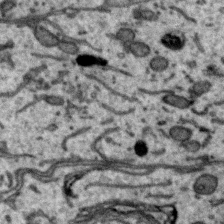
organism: Zebra finch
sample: Brain